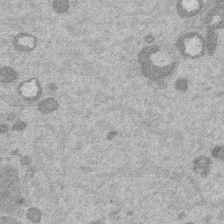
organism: Mouse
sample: Dividing mouse embryo 1 cell stage